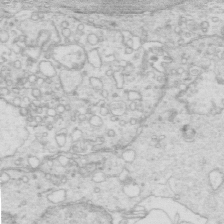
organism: Mouse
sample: Multiciliated cells